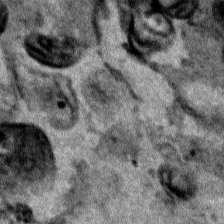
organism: Human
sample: Mitochondria in HCT116 cells